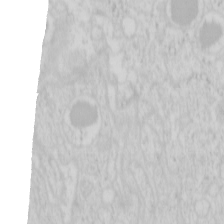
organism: Mouse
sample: Pancreas